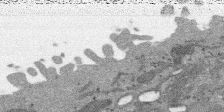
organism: Human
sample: Lung epithelial cells infected with SARS-CoV-2